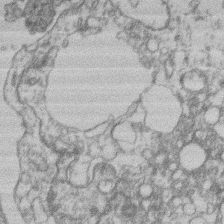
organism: Mouse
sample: T cell stromal cell synapse